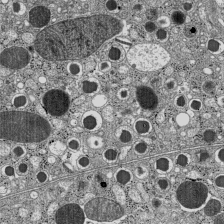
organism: C57BL Mouse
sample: Pancreatic islet